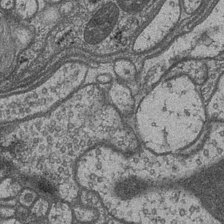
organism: Drosophila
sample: Optic medulla